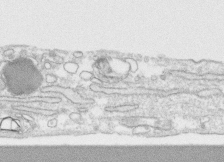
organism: Human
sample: CRL-1474